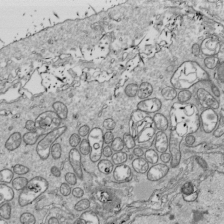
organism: Drosophila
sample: Cell division; meiosis; drosophila spermatocytes